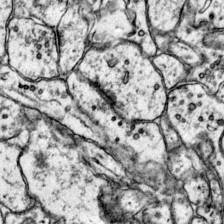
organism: Mouse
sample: Primary visual cortex